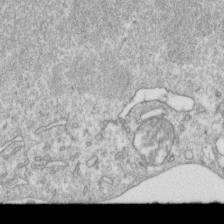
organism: Mouse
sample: Activated OT-1 CD8+ T cells